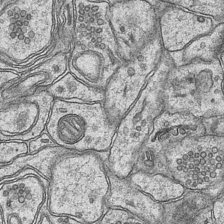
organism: Mouse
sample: CA1 Hippocampus